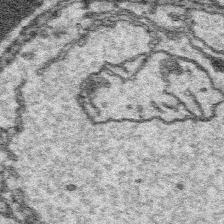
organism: Platynereis dumerilii